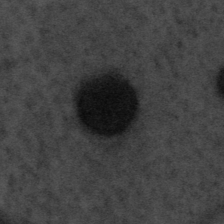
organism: Tuwongella immobilis